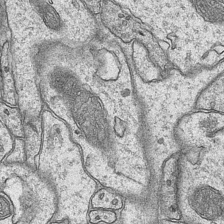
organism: Mouse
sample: CA1 Hippocampus